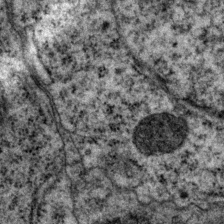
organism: P. pacificus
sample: Pharynx